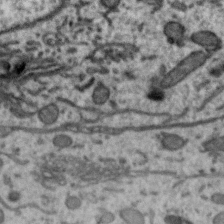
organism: Zebra finch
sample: Brain